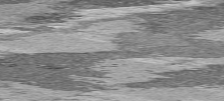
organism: C57BL Mouse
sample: Heart